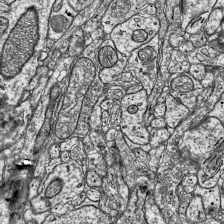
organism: Mouse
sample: Visual Cortex